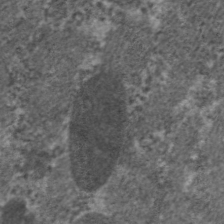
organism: C. elegans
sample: Pharynx